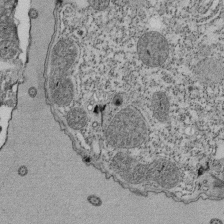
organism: Tetrahymena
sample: Cilia in tetrahymena